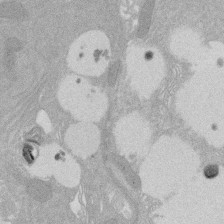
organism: Rat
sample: Salivary granule